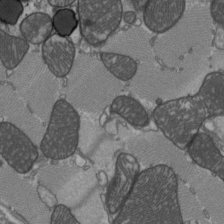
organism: C57BL Mouse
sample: Heart